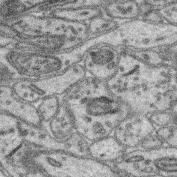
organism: Mouse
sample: Retina